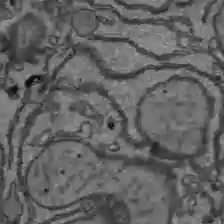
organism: C57BL Mouse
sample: Liver